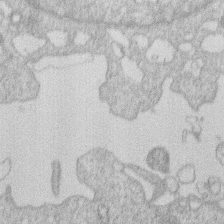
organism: Human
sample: Macrophage cells